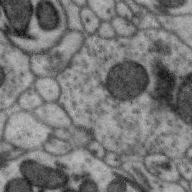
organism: Zebra finch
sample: Brain